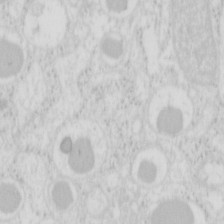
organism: Mouse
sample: Pancreas